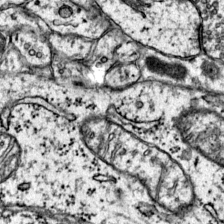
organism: Mouse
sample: Primary visual cortex